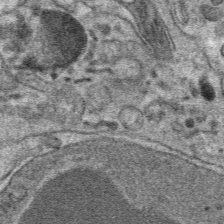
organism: Mouse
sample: Mouse hepatocytes